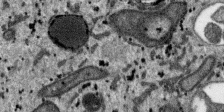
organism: Human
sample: Lung epithelial cells, uninfected (mock) control